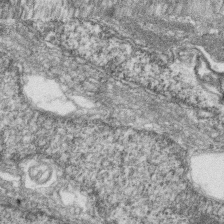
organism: Zebrafish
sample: Cilia; retinal pigment epithelium